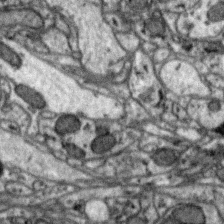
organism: Zebra finch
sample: Brain